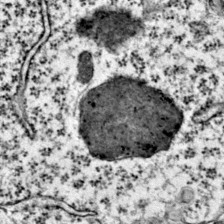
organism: Mouse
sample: Primary visual cortex